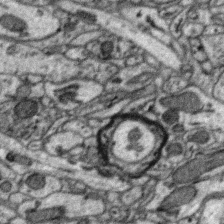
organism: Zebra finch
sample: Brain